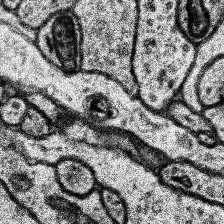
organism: Human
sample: Temporal Lobe